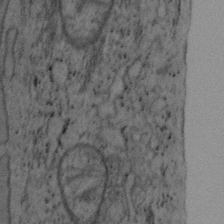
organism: Human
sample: HeLa cells